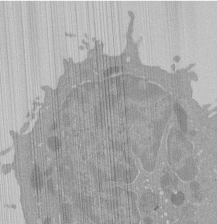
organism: Mouse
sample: Activated Pmel transgenic CD8+ T Cells